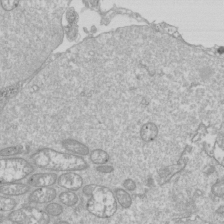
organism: Drosophila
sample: Cell division; meiosis; drosophila spermatocytes